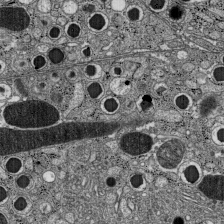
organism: C57BL Mouse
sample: Pancreatic islet